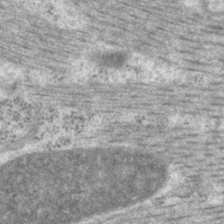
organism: P. pacificus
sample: Pharynx